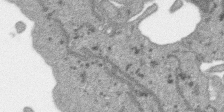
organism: Human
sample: Lung epithelial cells infected with SARS-CoV-2